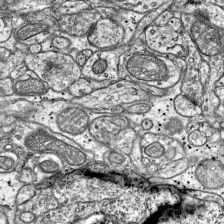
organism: Mouse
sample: Visual Cortex